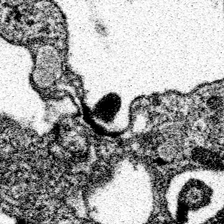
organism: Spongilla lacustris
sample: Neuroid cell